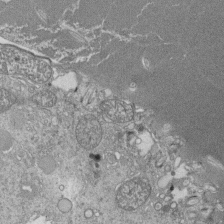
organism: Tetrahymena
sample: Cilia in tetrahymena